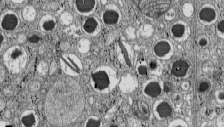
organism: C57BL Mouse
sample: Pancreatic islet